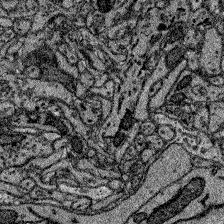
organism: Zebrafish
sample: Larval olfactory bulb